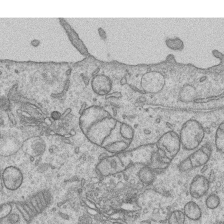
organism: Human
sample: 1205lu cells